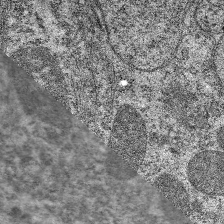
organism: C. elegans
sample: Pharynx